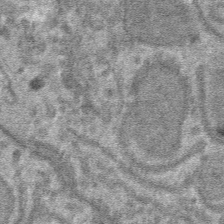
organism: Mouse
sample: Mouse hepatocytes